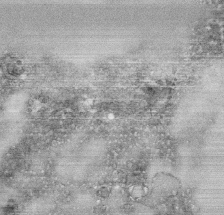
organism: Human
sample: CRL-1474